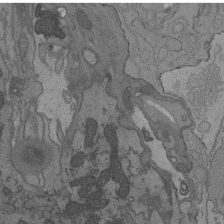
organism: C. elegans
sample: AFD neurons C. elegans